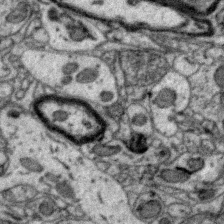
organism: Zebra finch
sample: Brain